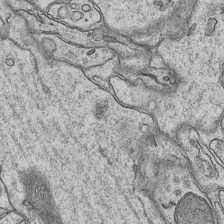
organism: Mouse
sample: CA1 Hippocampus